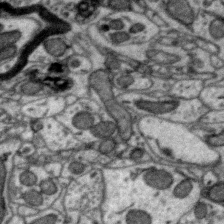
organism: Zebra finch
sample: Brain